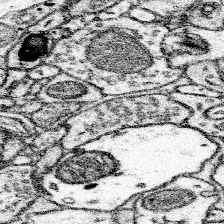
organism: Mouse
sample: Somatosensory cortex neuropil